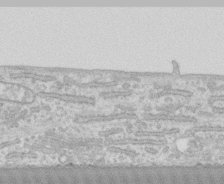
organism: Human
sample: CRL-1474